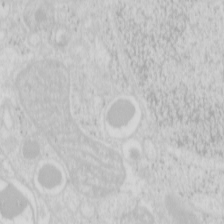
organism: Mouse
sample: Pancreas